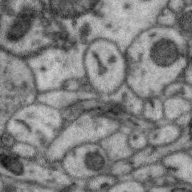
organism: Zebra finch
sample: Brain